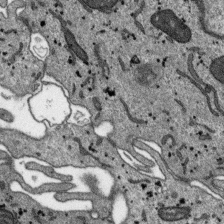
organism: Human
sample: Lung epithelial cells, uninfected (mock) control